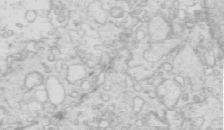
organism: Mouse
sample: Multiciliated cells